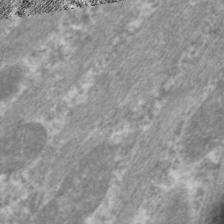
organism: C. elegans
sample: Pharynx